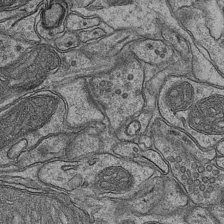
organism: Mouse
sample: CA1 Hippocampus